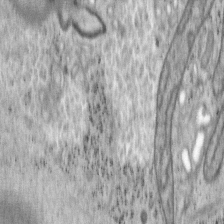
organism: Human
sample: HeLa cells